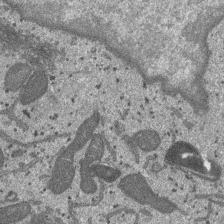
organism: Human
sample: Lung epithelial cells infected with SARS-CoV-2